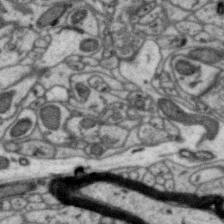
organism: Zebra finch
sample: Brain